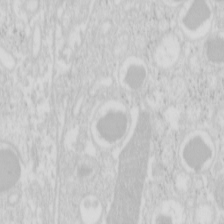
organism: Mouse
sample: Pancreas